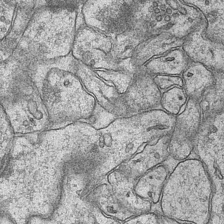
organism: Mouse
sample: CA1 Hippocampus